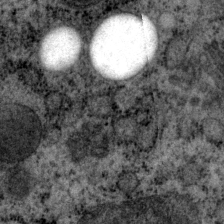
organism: P. pacificus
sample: Pharynx